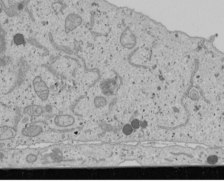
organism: Human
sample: Mitochondria in U2OS cells